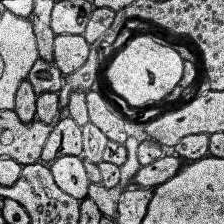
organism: Human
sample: Temporal Lobe